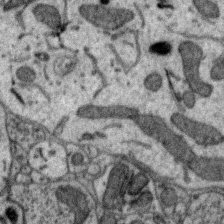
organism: Zebra finch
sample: Brain